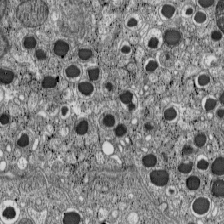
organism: C57BL Mouse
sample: Pancreatic islet